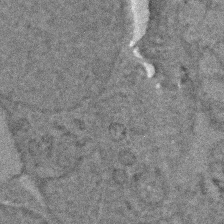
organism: Zebrafish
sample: Zebrafish embryo